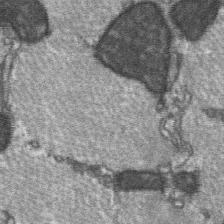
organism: C57BL Mouse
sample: Soleus